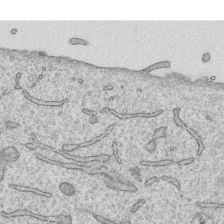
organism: Human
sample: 1205lu cells